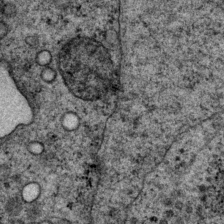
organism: P. pacificus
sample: Pharynx